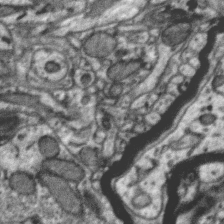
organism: Zebra finch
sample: Brain